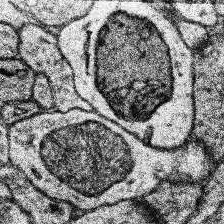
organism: Human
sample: Temporal Lobe